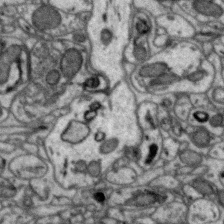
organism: Zebra finch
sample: Brain